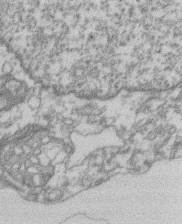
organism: Mouse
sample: T cell stromal cell synapse